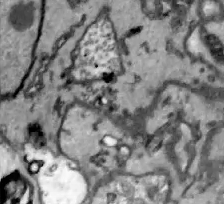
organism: Zebrafish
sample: Actinotrichia fibers